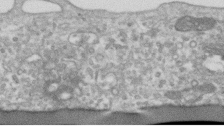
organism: Human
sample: Centriole in RPE cells